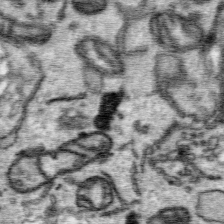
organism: Human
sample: HeLa cells